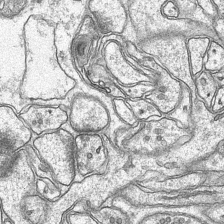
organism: Mouse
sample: CA1 Hippocampus